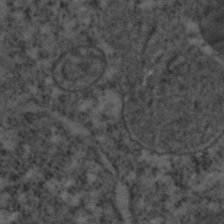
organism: C. elegans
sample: C. elegans embryo